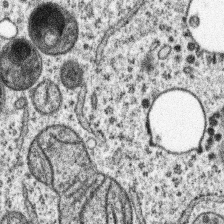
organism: Human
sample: HeLa cells